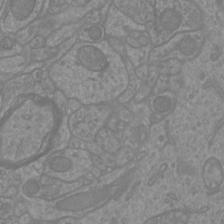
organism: Mouse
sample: Cortical neurons